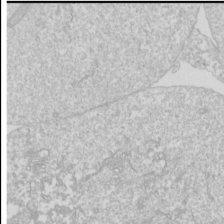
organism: Drosophila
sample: Cell division; meiosis; drosophila spermatocytes